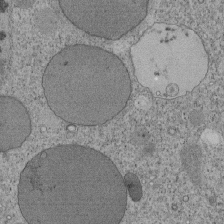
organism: Tetrahymena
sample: Cilia in tetrahymena